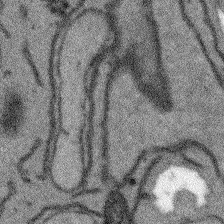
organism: Arabidopsis thaliana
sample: Root tip